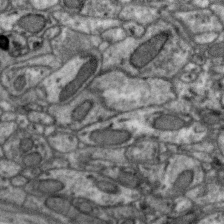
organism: Zebra finch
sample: Brain